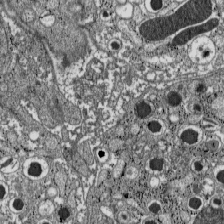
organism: C57BL Mouse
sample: Pancreatic islet